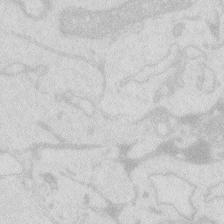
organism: Zebrafish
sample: Macrophage